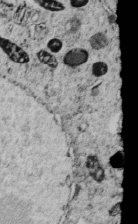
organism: C. elegans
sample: C. elegans embryo early stage